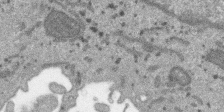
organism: Human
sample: Lung epithelial cells infected with SARS-CoV-2